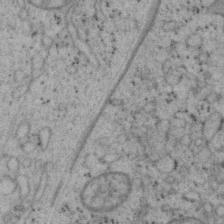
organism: Human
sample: HeLa cells